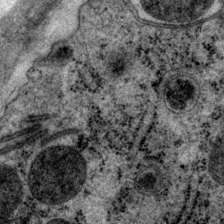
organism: P. pacificus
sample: Pharynx